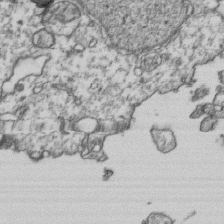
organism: Human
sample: Activated Jurkat CD4+ T cells